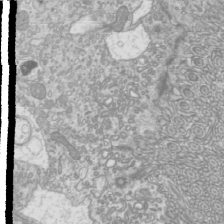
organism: Mouse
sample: Cilia; mouse epididymis